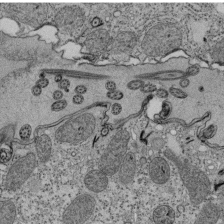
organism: Tetrahymena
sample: Cilia in tetrahymena